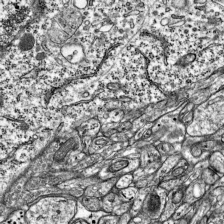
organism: Mouse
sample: Visual Cortex